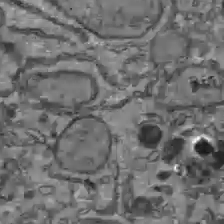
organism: C57BL Mouse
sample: Liver